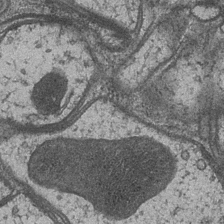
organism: Drosophila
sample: Optic medulla